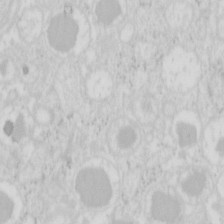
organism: Mouse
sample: Pancreas